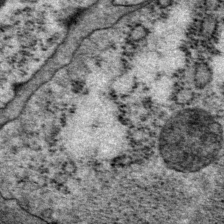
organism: P. pacificus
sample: Pharynx